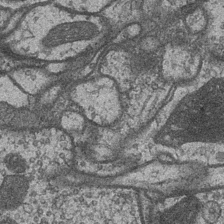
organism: Drosophila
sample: Optic medulla